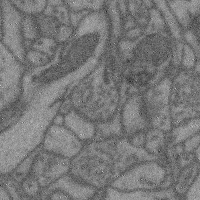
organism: Mouse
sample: Cerebral cortex